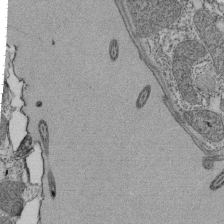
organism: Tetrahymena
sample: Cilia in tetrahymena